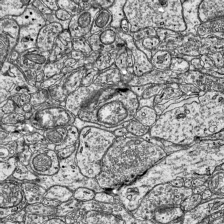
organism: Mouse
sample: Visual Cortex